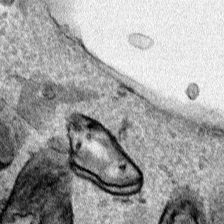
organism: Human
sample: Mitochondria in HCT116 cells